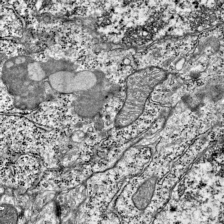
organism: Mouse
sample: Visual Cortex